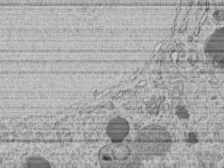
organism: C. elegans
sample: C. elegans embryo early stage